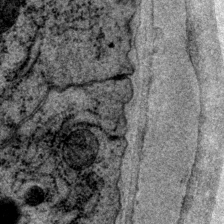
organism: P. pacificus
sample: Pharynx